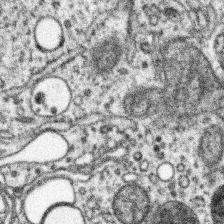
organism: Human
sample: HeLa cells